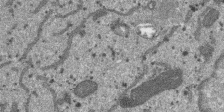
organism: Human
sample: Lung epithelial cells infected with SARS-CoV-2